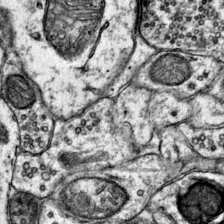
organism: Mouse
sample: Primary visual cortex